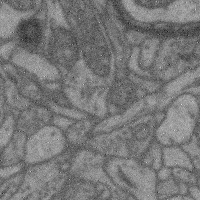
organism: Mouse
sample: Cerebral cortex